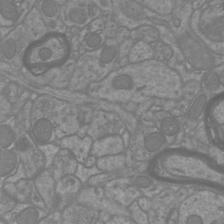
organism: Mouse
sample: Cortical neurons